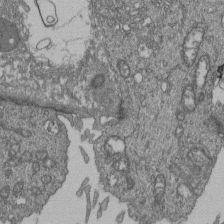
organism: Human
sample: Retinal organoid Rod and Cone cells